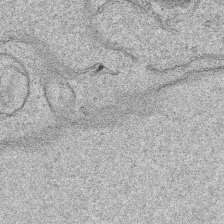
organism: Human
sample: Mitochondria in HCT116 cells